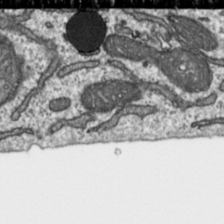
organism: Toxoplasma gondii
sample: Parasites in a vacuole inside a host cell